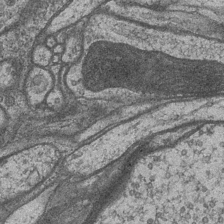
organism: Drosophila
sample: Optic medulla